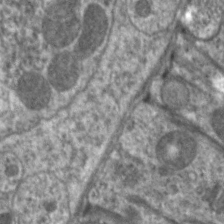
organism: C. elegans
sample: Pharynx